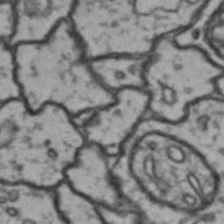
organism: Drosophila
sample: Brain